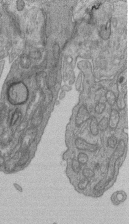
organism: Human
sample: Retinal organoid Rod and Cone cells